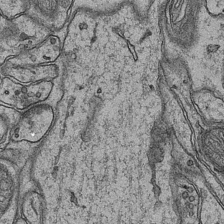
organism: Mouse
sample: CA1 Hippocampus